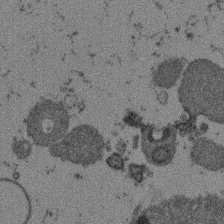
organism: Mouse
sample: Dividing mouse embryo 1 cell stage